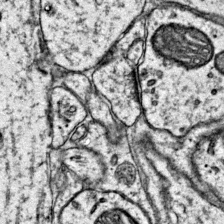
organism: Mouse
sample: Primary visual cortex